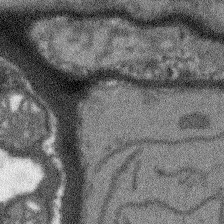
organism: Arabidopsis thaliana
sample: Root tip